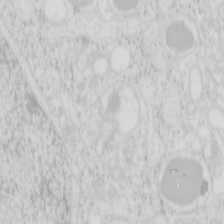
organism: Mouse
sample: Pancreas